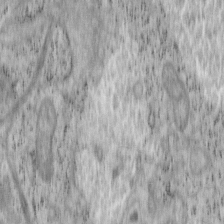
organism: Human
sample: HeLa cells